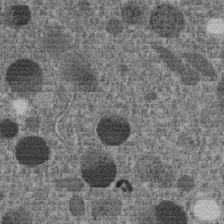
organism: C. elegans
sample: C. elegans embryo early stage